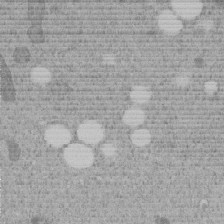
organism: C. elegans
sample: C. elegans embryo early stage